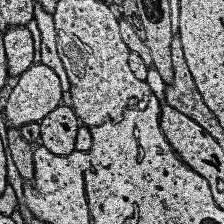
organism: Human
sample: Temporal Lobe